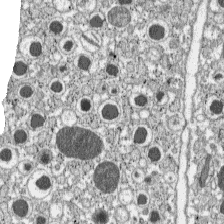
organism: C57BL Mouse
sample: Pancreatic islet